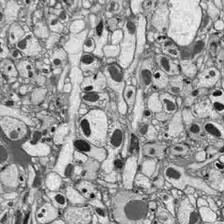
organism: Drosophila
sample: Optic lobe